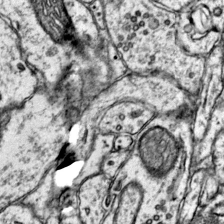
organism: Mouse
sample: Primary visual cortex